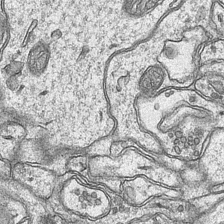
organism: Mouse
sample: CA1 Hippocampus